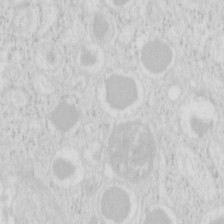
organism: Mouse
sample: Pancreas